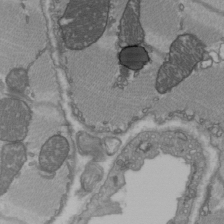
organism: C57BL Mouse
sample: Heart